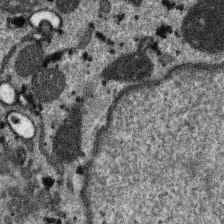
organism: Human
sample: Lung epithelial cells infected with SARS-CoV-2